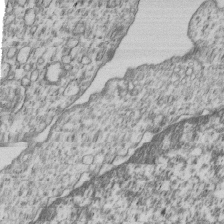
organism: Human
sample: MDA-MB-231 cells